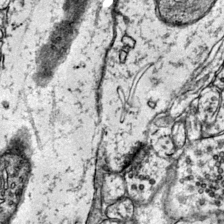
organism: Mouse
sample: Primary visual cortex